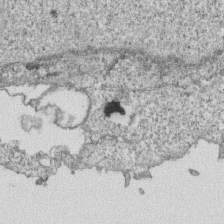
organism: Human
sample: HeLa cell HIV synapse